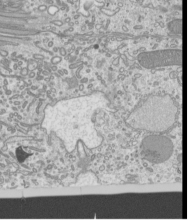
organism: Mouse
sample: Cilia; mouse epididymis